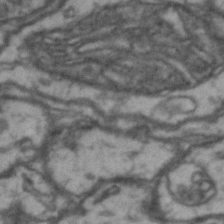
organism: Drosophila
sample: Brain